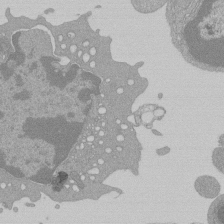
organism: Mouse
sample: Activated Pmel transgenic CD8+ T Cells